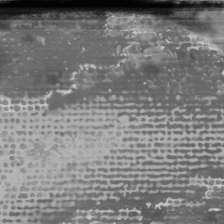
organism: Mouse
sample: Cancer cell death in ED-1 cells